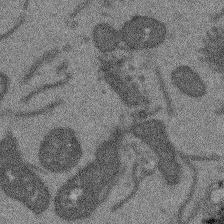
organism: Arabidopsis thaliana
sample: Root tip